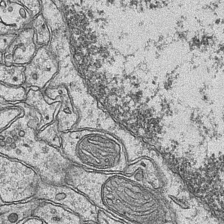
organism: Mouse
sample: CA1 Hippocampus